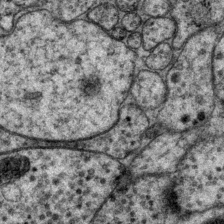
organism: P. pacificus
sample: Pharynx